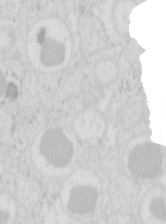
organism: Mouse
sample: Pancreas